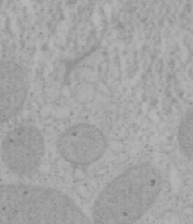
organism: Mouse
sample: OT-I killer T cells with ID8 ovarian cancer cells